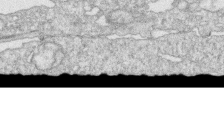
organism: Human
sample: HeLa cell HIV synapse